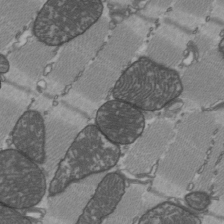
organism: C57BL Mouse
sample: Heart